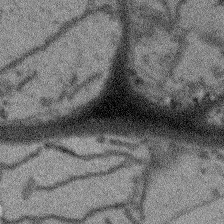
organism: Arabidopsis thaliana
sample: Root tip